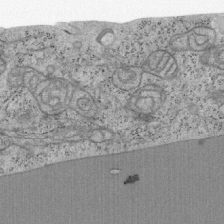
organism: Human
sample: HeLa cells